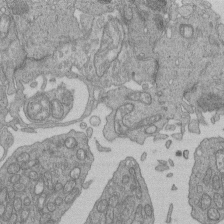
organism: Human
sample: Retinal organoid Rod and Cone cells